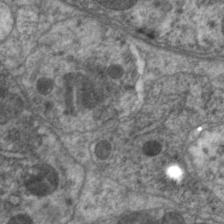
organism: C. elegans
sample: Pharynx